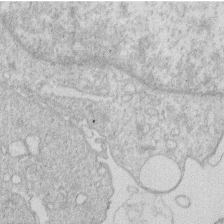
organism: Human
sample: Macrophage cells